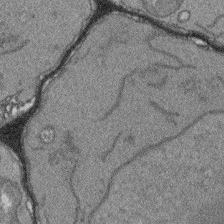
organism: Arabidopsis thaliana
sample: Root tip